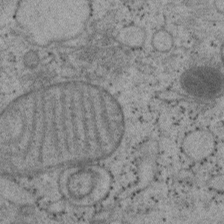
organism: Human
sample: HeLa cells